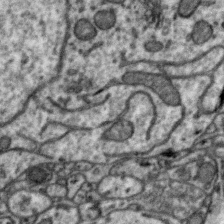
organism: Zebra finch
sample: Brain